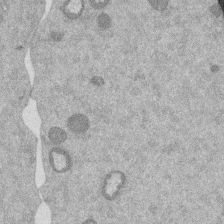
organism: Mouse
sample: Dividing mouse embryo 1 cell stage